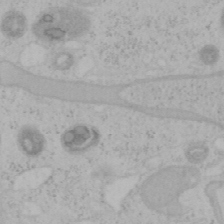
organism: Mouse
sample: OT-I killer T cells with ID8 ovarian cancer cells